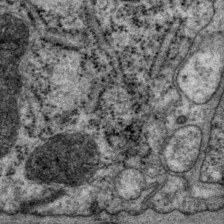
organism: P. pacificus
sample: Pharynx